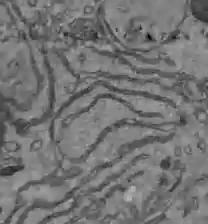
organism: C57BL Mouse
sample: Liver